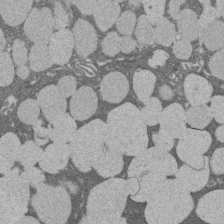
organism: Rat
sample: Salivary granule